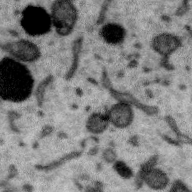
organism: Zebra finch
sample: Brain